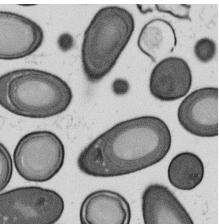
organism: B. subtilis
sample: Bacterial spore